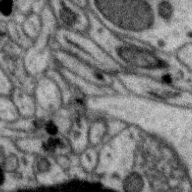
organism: Zebra finch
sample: Brain